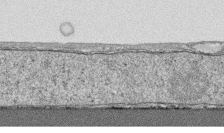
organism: Human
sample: CRL-1474